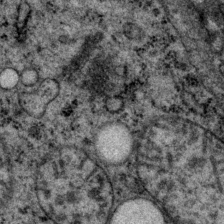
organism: P. pacificus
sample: Pharynx